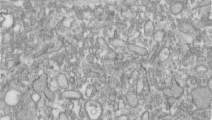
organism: Human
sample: Centriole in RPE cells